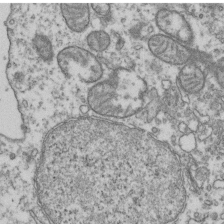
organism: Human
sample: Activated Jurkat CD4+ T cells